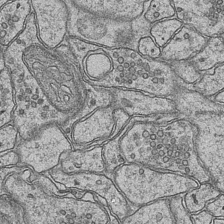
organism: Mouse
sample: CA1 Hippocampus